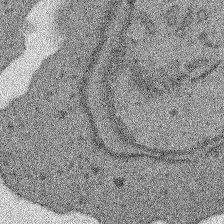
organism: Human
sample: HeLa cells